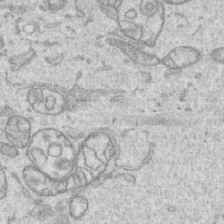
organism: Human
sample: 1205lu cells